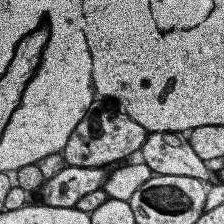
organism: Human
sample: Temporal Lobe